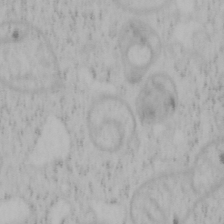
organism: Mouse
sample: OT-I killer T cells with ID8 ovarian cancer cells